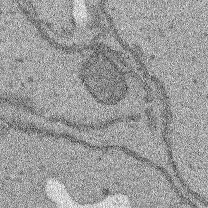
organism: Human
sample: HeLa cells